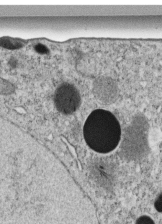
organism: C. elegans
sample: C. elegans embryo early stage